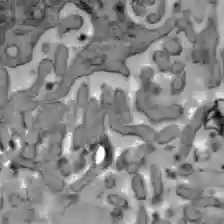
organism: C57BL Mouse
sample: Liver